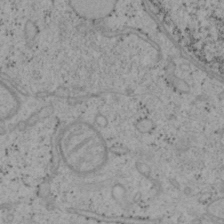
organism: Human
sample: HeLa cells